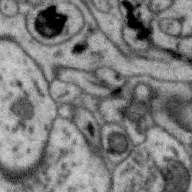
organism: Zebra finch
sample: Brain